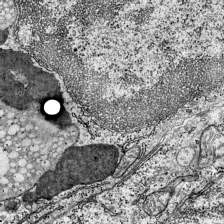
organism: Mouse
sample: Visual Cortex